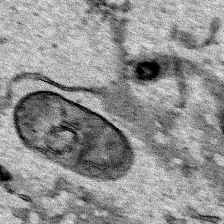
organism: Human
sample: Mitochondria in HCT116 cells